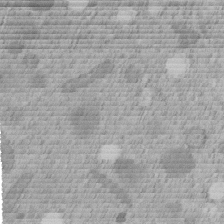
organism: C. elegans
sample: C. elegans embryo early stage